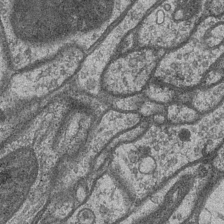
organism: Drosophila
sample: Optic medulla